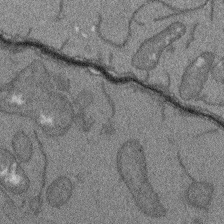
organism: Arabidopsis thaliana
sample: Root tip